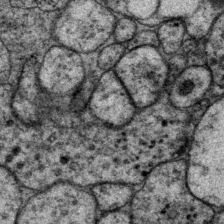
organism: P. pacificus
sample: Pharynx